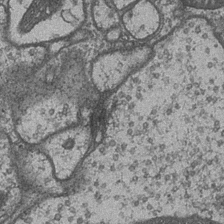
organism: Drosophila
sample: Optic medulla